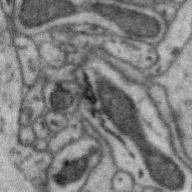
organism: Zebra finch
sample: Brain